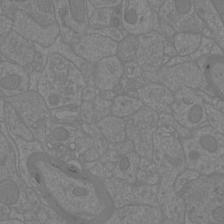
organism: Mouse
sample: Cortical neurons